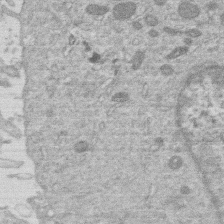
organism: Human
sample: Macrophage cells